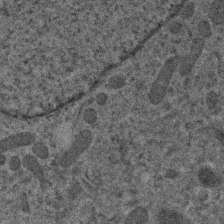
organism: Human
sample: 1205lu cells